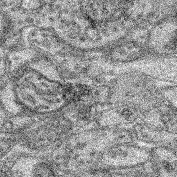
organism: Mouse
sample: Retina